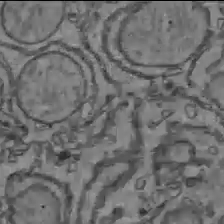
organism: C57BL Mouse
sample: Liver